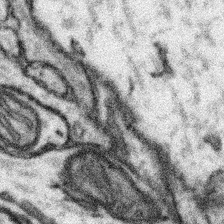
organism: Mouse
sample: Somatosensory cortex neuropil